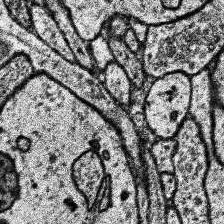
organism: Human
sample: Temporal Lobe